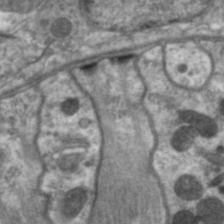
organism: C. elegans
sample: Pharynx